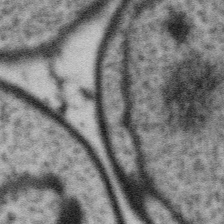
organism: Gemmata obscuriglobus